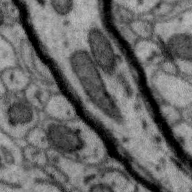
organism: Zebra finch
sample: Brain